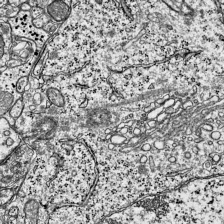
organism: Mouse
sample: Visual Cortex